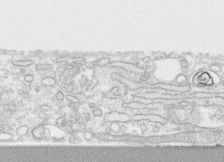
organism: Human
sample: CRL-1474